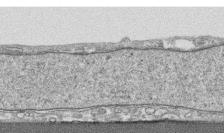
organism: Human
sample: CRL-1474